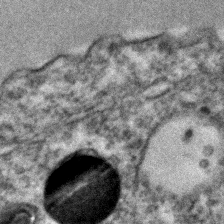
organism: C. elegans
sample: C. elegans embryo